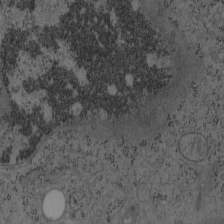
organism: Mouse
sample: OT-I killer T cells with ID8 ovarian cancer cells